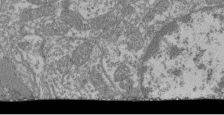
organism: Mouse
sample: Glomerulus